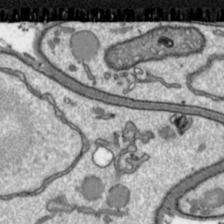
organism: Toxoplasma gondii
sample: Parasites in a vacuole inside a host cell